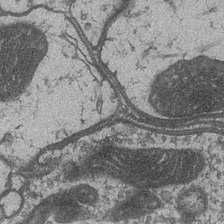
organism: Drosophila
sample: Optic medulla